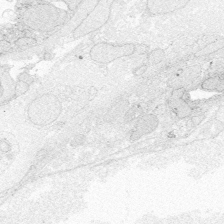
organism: Zebrafish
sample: Whole-Brain